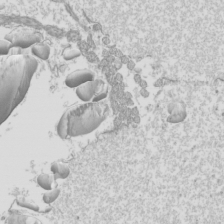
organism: Mouse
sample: Cilia; mouse epididymis